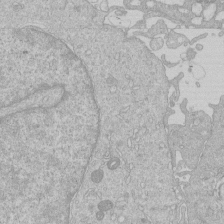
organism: Human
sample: Macrophage cells